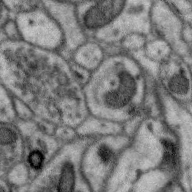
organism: Zebra finch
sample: Brain